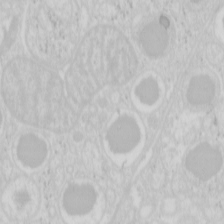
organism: Mouse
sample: Pancreas